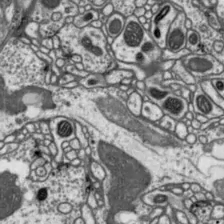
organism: Drosophila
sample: Protocerebral bridge